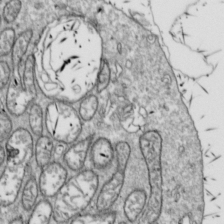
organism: Drosophila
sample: Cell division; meiosis; drosophila spermatocytes